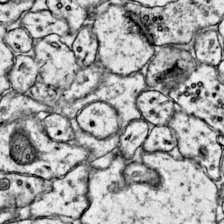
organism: Mouse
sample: Primary visual cortex